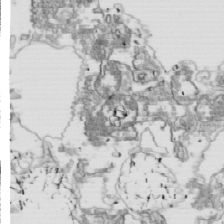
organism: Drosophila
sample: Cell division; meiosis; drosophila spermatocytes